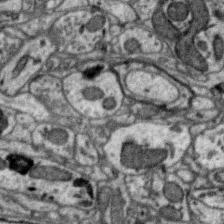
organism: Zebra finch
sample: Brain